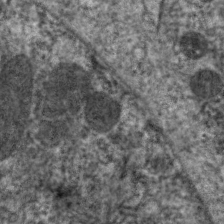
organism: C. elegans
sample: Pharynx